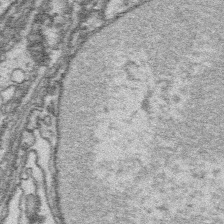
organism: Platynereis dumerilii